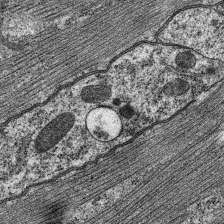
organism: C. elegans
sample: Pharynx